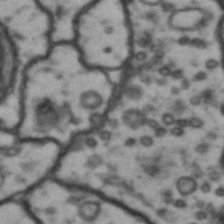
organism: Drosophila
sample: Brain